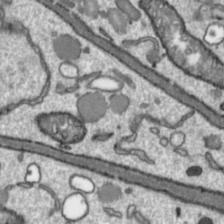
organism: Toxoplasma gondii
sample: Parasites in a vacuole inside a host cell